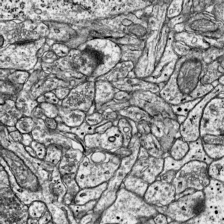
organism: Mouse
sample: Visual Cortex